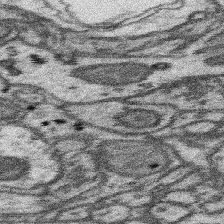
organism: Mouse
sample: Somatosensory cortex neuropil